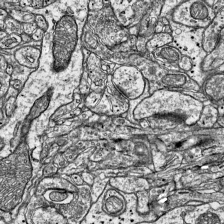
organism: Mouse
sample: Visual Cortex